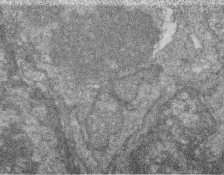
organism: Zebrafish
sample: Cilia; retinal pigment epithelium